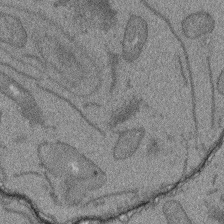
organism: Arabidopsis thaliana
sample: Root tip